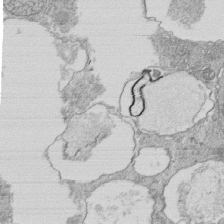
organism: Tetrahymena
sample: Cilia in tetrahymena